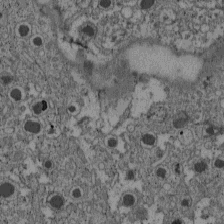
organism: C57BL Mouse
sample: Pancreatic islet